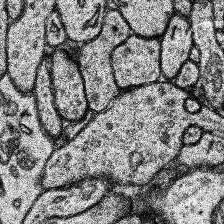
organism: Human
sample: Temporal Lobe